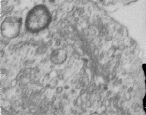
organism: Human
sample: Centriole in RPE cells